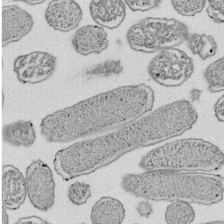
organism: E. coli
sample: Bacterial nucleoid